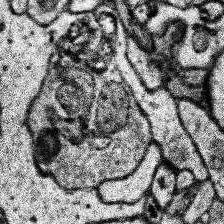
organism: Human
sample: Temporal Lobe